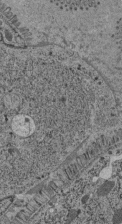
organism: C. elegans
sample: C. elegans pharynx